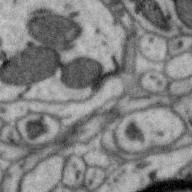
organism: Zebra finch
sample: Brain